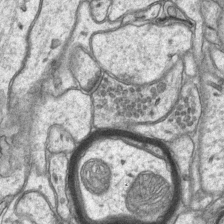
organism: Mouse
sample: CA1 Hippocampus